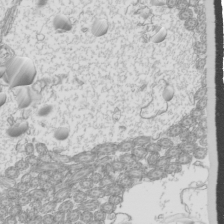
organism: Mouse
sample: Cilia; mouse epididymis